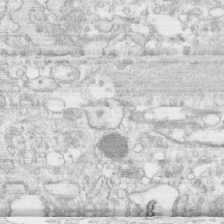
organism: Human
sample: CRL-1474